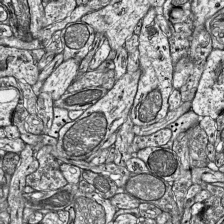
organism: Mouse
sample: Visual Cortex